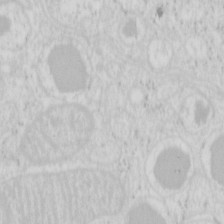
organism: Mouse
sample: Pancreas